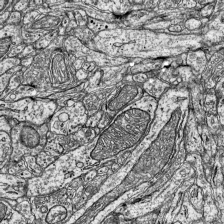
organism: Mouse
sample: Visual Cortex